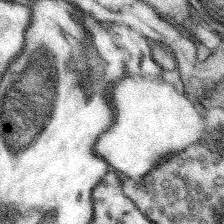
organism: Mouse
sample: Somatosensory cortex neuropil